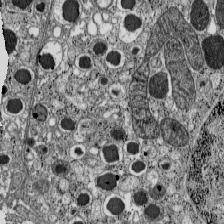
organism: C57BL Mouse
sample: Pancreatic islet